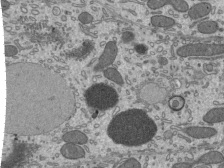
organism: Mouse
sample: Mouse epididymis efferent ductule cilia